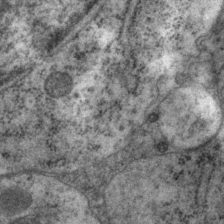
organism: P. pacificus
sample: Pharynx